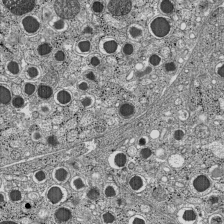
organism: C57BL Mouse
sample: Pancreatic islet